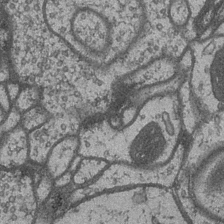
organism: Drosophila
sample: Optic medulla